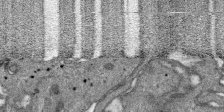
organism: Human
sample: Lung epithelial cells, uninfected (mock) control